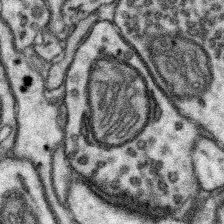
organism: Mouse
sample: Somatosensory cortex neuropil